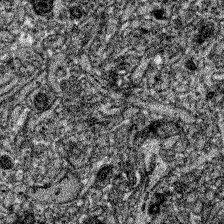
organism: Zebrafish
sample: Larval olfactory bulb